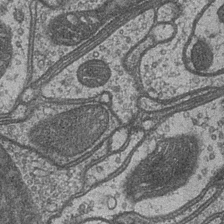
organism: Drosophila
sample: Optic medulla